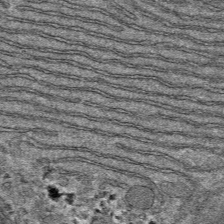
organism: Mouse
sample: Mouse hepatocytes